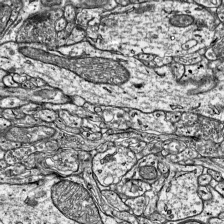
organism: Mouse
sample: Visual Cortex